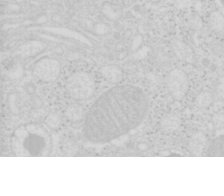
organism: Mouse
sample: Pancreas